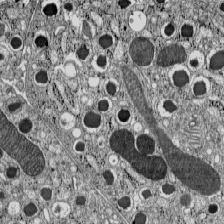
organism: C57BL Mouse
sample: Pancreatic islet